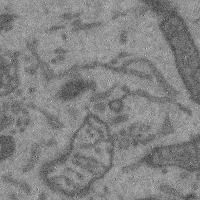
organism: Mouse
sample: Cerebral cortex